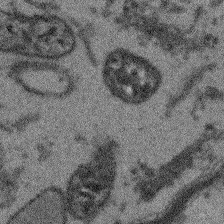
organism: Arabidopsis thaliana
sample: Root tip